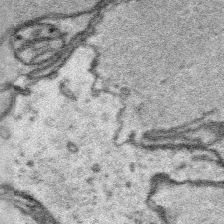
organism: Platynereis dumerilii